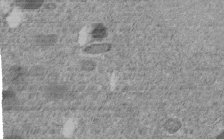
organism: C. elegans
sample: C. elegans embryo early stage